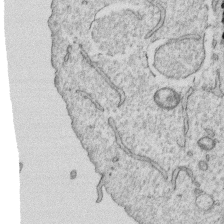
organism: Human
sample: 1205lu cells